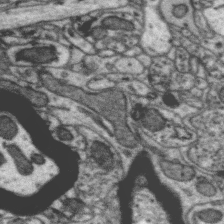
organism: Zebra finch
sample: Brain